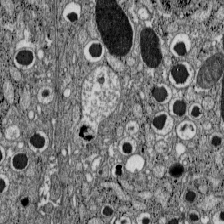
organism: C57BL Mouse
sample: Pancreatic islet